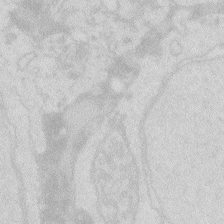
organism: Zebrafish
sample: Macrophage